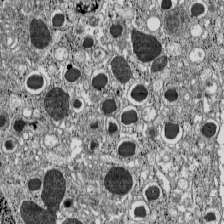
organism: C57BL Mouse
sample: Pancreatic islet